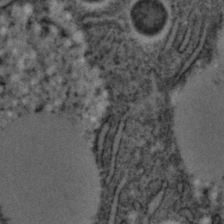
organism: C. elegans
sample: C. elegans embryo